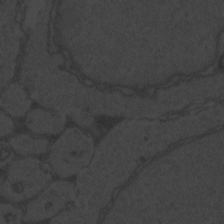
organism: Zebrafish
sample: Macrophage infected with Toxoplasma gondii